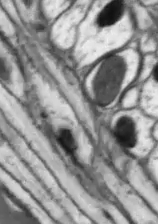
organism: Drosophila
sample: Optic lobe